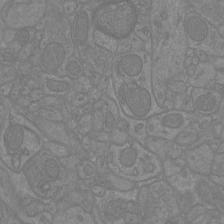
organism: Mouse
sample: Cortical neurons